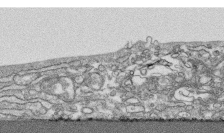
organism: Human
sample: CRL-1474